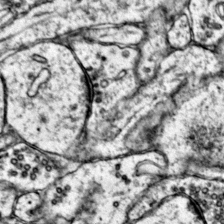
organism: Mouse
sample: Primary visual cortex